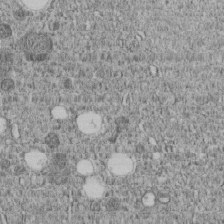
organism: C. elegans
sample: C. elegans embryo early stage